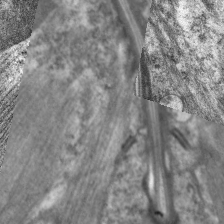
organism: C. elegans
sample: Pharynx